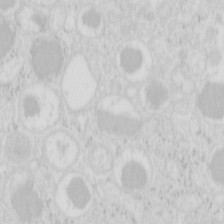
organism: Mouse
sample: Pancreas